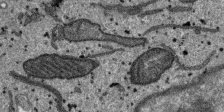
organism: Human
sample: Lung epithelial cells, uninfected (mock) control